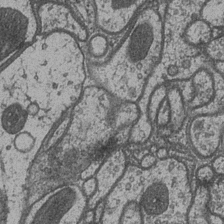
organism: Drosophila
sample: Optic medulla